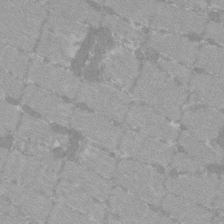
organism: C57BL Mouse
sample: Tibialis anterior muscle cell